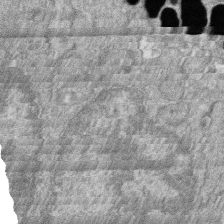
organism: Zebrafish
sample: Cilia; retinal pigment epithelium